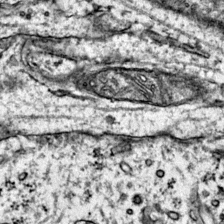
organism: Mouse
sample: Primary visual cortex